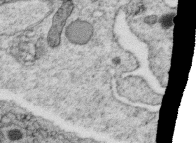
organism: C. elegans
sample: C. elegans oocyte; sperm cells